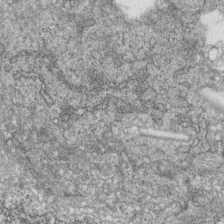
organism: Zebrafish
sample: Cilia; retinal pigment epithelium